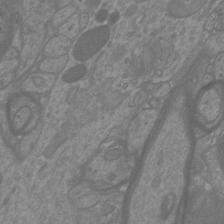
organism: Mouse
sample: Cortical neurons